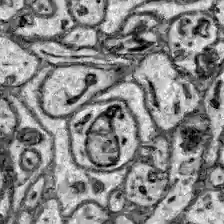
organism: Zebrafish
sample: Brain